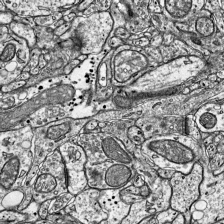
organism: Mouse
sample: Visual Cortex